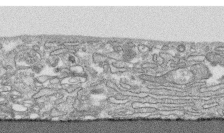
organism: Human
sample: CRL-1474